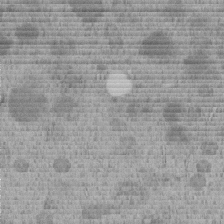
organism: C. elegans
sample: C. elegans embryo early stage